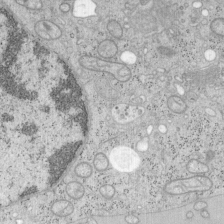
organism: Mouse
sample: OT-I killer T cells with ID8 ovarian cancer cells